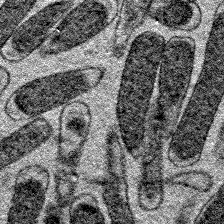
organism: E. coli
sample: E. Coli Bacteria